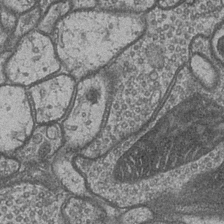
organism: Drosophila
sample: Optic medulla